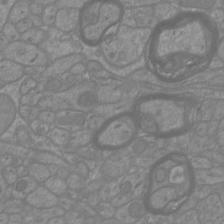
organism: Mouse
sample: Cortical neurons